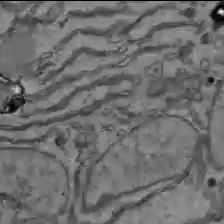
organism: C57BL Mouse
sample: Liver